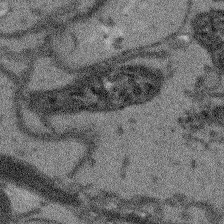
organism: Arabidopsis thaliana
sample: Root tip